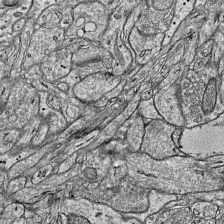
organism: Mouse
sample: Visual Cortex